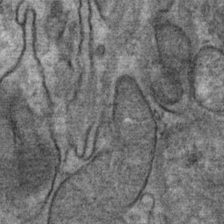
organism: Mouse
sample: Mouse Salivary gland